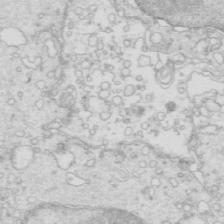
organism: Mouse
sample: Multiciliated cells